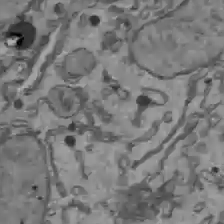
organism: C57BL Mouse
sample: Liver